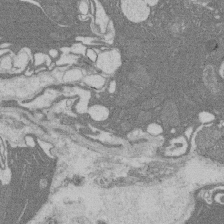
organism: Rat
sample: Salivary granule